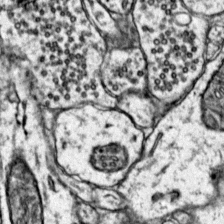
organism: Mouse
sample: Primary visual cortex